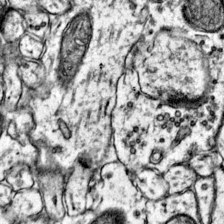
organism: Mouse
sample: Primary visual cortex